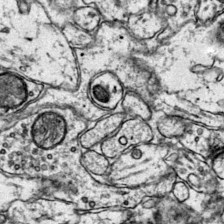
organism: Mouse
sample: Primary visual cortex